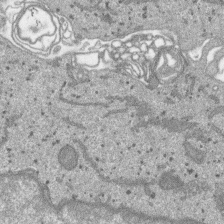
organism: Human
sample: Lung epithelial cells infected with SARS-CoV-2